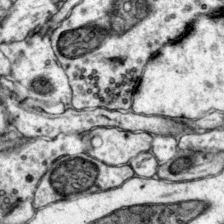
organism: Mouse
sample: Primary visual cortex